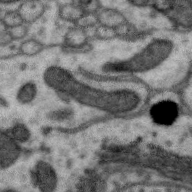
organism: Zebra finch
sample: Brain